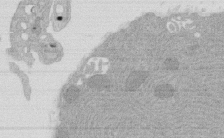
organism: Rat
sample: Salivary granule